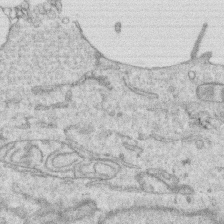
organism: Human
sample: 1205lu cells